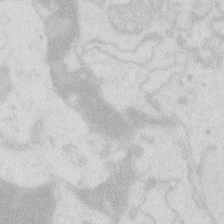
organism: Zebrafish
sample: Macrophage